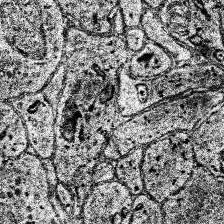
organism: Human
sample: Temporal Lobe